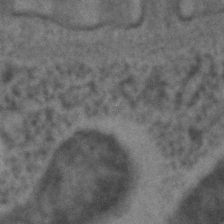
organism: C. elegans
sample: C. elegans embryo